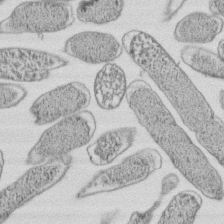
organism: E. coli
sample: Bacterial nucleoid